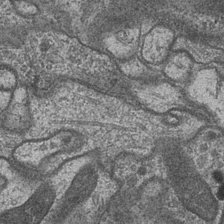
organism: Drosophila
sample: Optic medulla